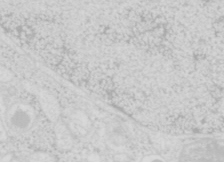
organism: Mouse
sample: Pancreas